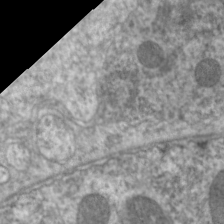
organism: C. elegans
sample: Pharynx